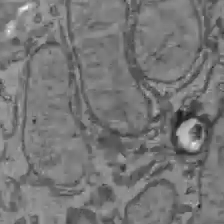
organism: C57BL Mouse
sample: Liver